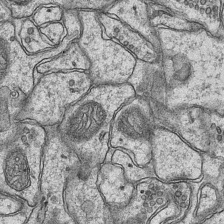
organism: Mouse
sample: CA1 Hippocampus